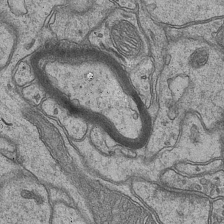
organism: Mouse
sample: CA1 Hippocampus